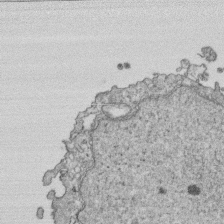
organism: Human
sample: HeLa cell HIV synapse